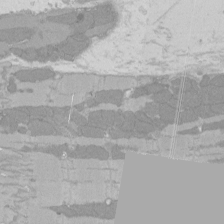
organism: Rat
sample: Left ventricle